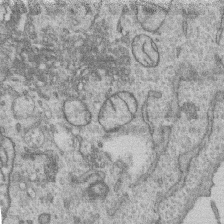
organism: Human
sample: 1205lu cells